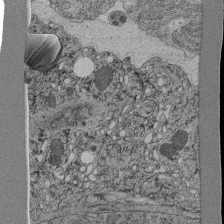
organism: C. elegans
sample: C. elegans pharynx